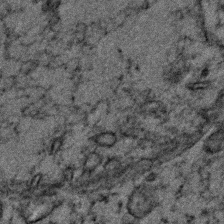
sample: Trachea